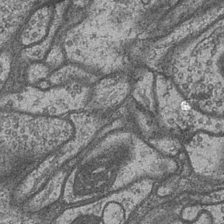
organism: Drosophila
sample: Optic medulla